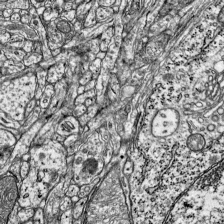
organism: Mouse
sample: Visual Cortex